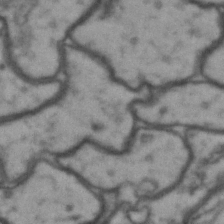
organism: Drosophila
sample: Brain